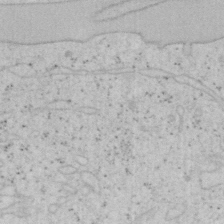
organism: Human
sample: HeLa cells